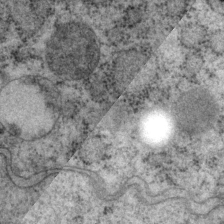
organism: P. pacificus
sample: Pharynx